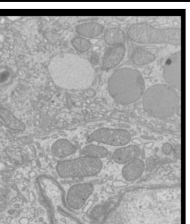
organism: Mouse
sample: Cilia; mouse epididymis